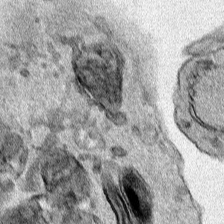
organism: Human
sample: Mitochondria in HCT116 cells